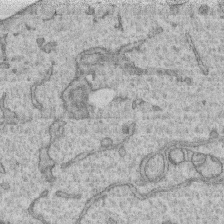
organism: Human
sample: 1205lu cells